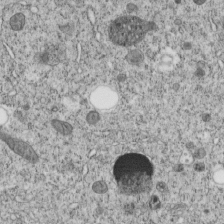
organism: C. elegans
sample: C. elegans embryo early stage